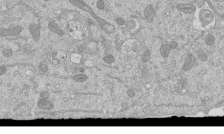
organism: Mouse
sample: ED-1 cell nuclei; centrioles